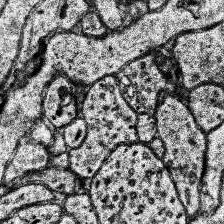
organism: Human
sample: Temporal Lobe